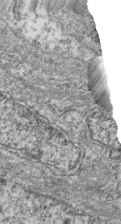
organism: Zebrafish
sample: Cilia; retinal pigment epithelium